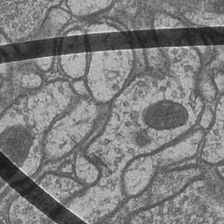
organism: Drosophila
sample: Optic medulla